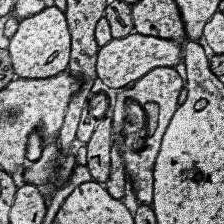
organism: Human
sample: Temporal Lobe